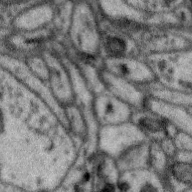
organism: Zebra finch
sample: Brain